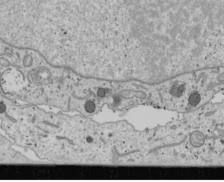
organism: Human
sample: Mitochondria in U2OS cells